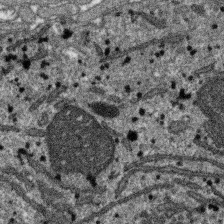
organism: Human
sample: Lung epithelial cells infected with SARS-CoV-2